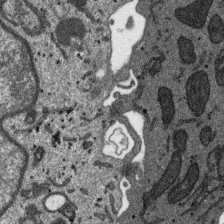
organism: Human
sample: Lung epithelial cells infected with SARS-CoV-2